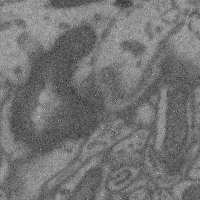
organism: Mouse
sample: Cerebral cortex